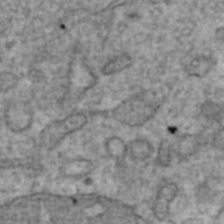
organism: Human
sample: Blood